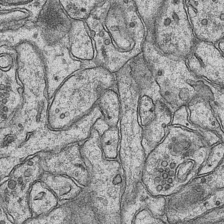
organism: Mouse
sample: CA1 Hippocampus